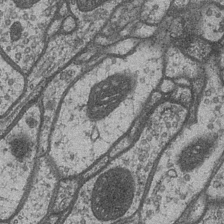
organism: Drosophila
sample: Optic medulla